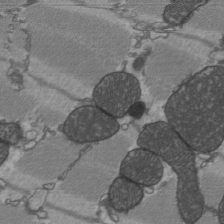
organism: C57BL Mouse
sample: Heart